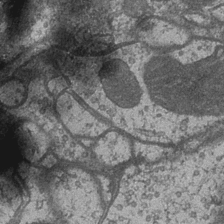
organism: Drosophila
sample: Optic medulla